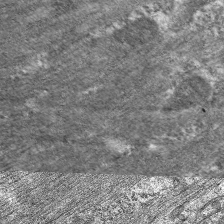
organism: C. elegans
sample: Pharynx